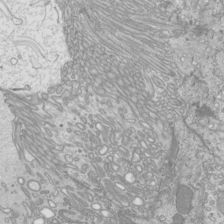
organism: Mouse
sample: Cilia; mouse epididymis